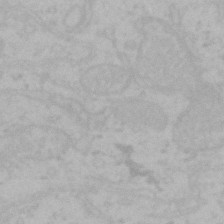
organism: Mouse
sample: Choroid plexus